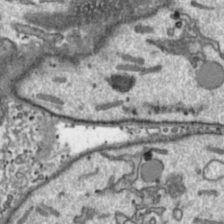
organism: Toxoplasma gondii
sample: Parasites in a vacuole inside a host cell